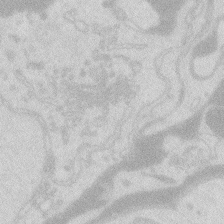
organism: Zebrafish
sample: Macrophage